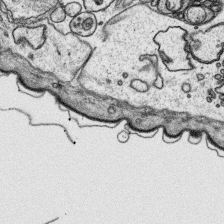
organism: Platynereis dumerilii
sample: Parapodia